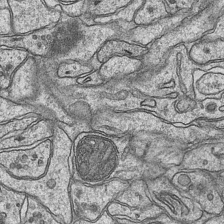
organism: Mouse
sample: CA1 Hippocampus